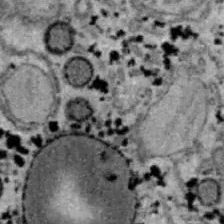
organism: Mouse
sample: Liver from an obese (ob/ob) mouse